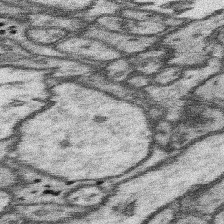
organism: Mouse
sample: Somatosensory cortex neuropil